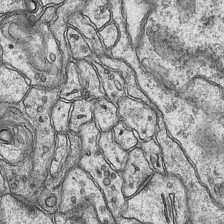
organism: Mouse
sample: CA1 Hippocampus